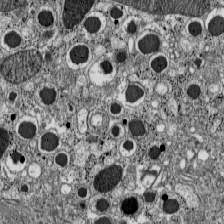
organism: C57BL Mouse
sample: Pancreatic islet